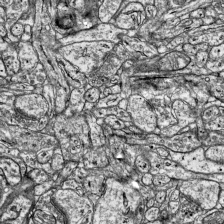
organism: Mouse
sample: Visual Cortex